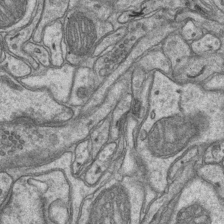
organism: Mouse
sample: CA1 Hippocampus